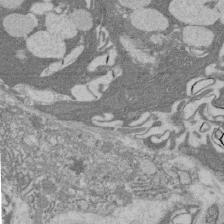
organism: Rat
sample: Salivary granule